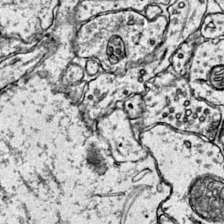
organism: Mouse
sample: Primary visual cortex